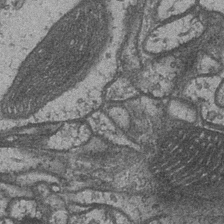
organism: Drosophila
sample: Optic medulla